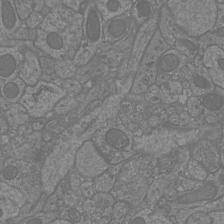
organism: Mouse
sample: Cortical neurons